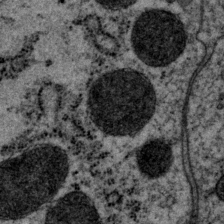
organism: P. pacificus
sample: Pharynx